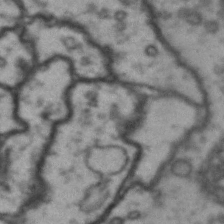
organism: Drosophila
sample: Brain